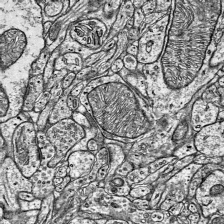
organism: Mouse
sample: Visual Cortex